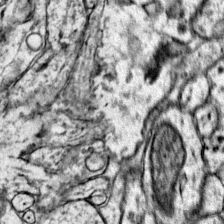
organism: Mouse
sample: Primary visual cortex